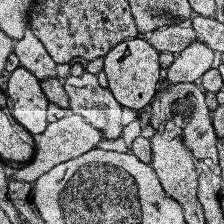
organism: Human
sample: Temporal Lobe